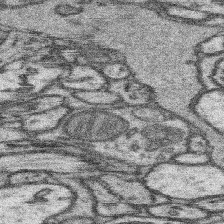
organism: Mouse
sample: Somatosensory cortex neuropil